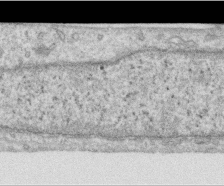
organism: Human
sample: Centriole in RPE cells